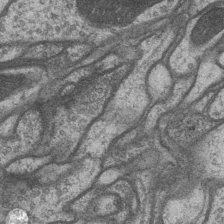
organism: Drosophila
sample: Optic medulla